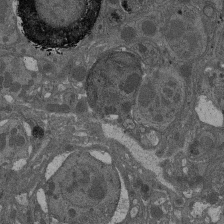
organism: Drosophila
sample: Antenna